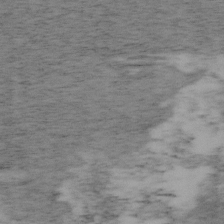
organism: Mouse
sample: OT-I killer T cells with ID8 ovarian cancer cells